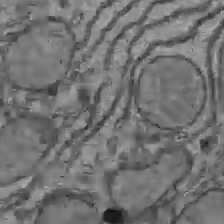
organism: C57BL Mouse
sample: Liver